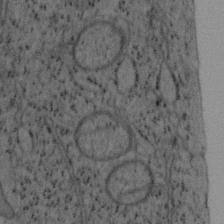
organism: Human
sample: HeLa cells